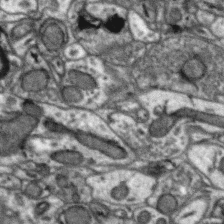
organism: Zebra finch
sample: Brain